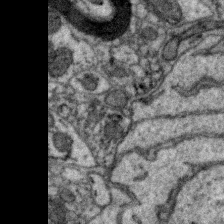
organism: Zebra finch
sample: Brain